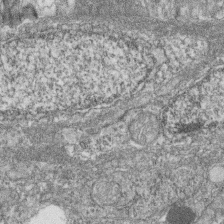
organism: Zebrafish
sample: Cilia; retinal pigment epithelium